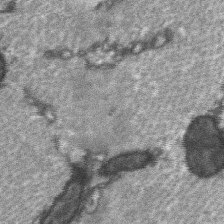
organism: C57BL Mouse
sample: Soleus